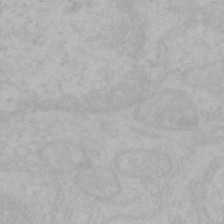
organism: Mouse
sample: Choroid plexus